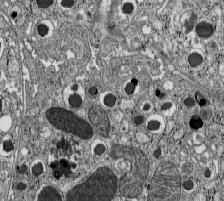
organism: C57BL Mouse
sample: Pancreatic islet